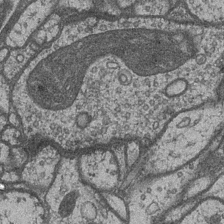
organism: Drosophila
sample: Optic medulla